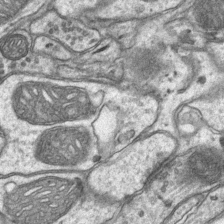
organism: Mouse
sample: CA1 Hippocampus